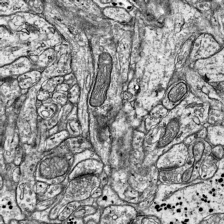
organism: Mouse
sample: Visual Cortex